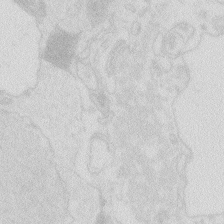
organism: Zebrafish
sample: Macrophage